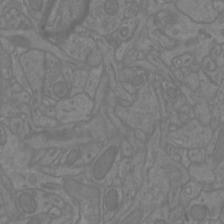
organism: Mouse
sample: Cortical neurons